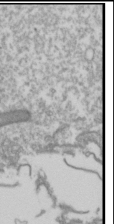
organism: Drosophila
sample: Cell division; meiosis; drosophila spermatocytes